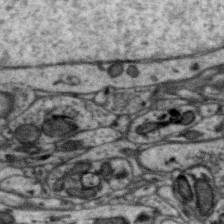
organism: Zebra finch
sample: Brain